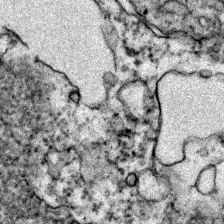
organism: Zebrafish